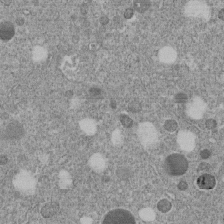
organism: C. elegans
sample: C. elegans embryo early stage